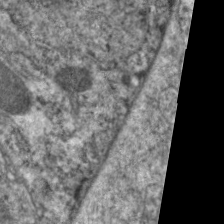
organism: C. elegans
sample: Pharynx